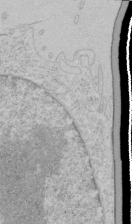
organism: Human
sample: Mitochondria in HCT116 cells